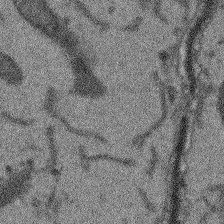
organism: Arabidopsis thaliana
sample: Root tip